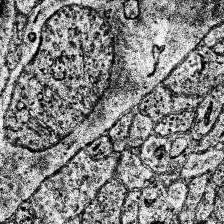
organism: Human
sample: Temporal Lobe